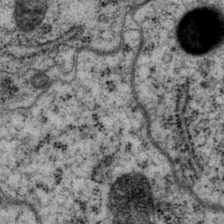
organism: P. pacificus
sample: Pharynx